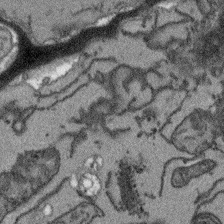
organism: Arabidopsis thaliana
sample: Root tip